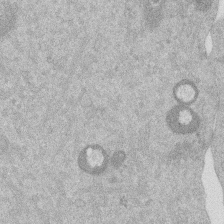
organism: Mouse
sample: Dividing mouse embryo 1 cell stage